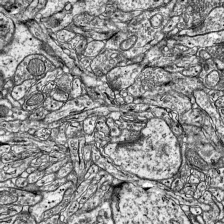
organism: Mouse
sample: Visual Cortex